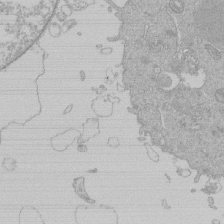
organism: Human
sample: Macrophage cells